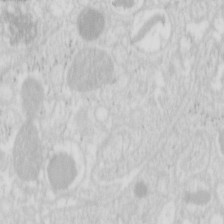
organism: Mouse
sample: Pancreas